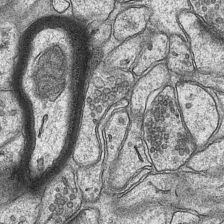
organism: Mouse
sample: CA1 Hippocampus